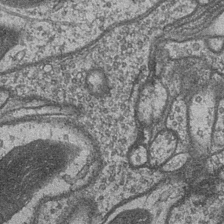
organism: Drosophila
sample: Optic medulla